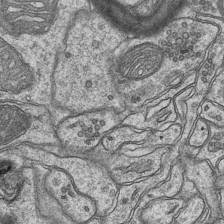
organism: Mouse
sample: CA1 Hippocampus